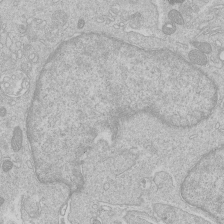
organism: Human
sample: Macrophage cells